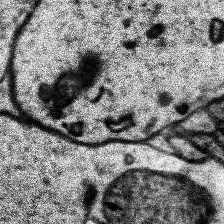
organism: Human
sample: Temporal Lobe